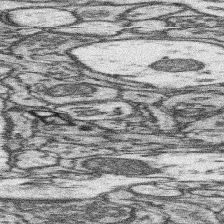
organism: Mouse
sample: Somatosensory cortex neuropil